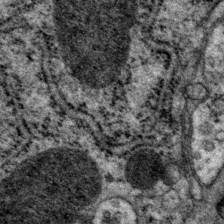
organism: P. pacificus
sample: Pharynx